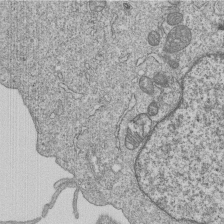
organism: Human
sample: MDA-MB-231 cells